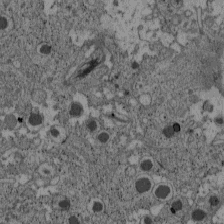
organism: C57BL Mouse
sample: Pancreatic islet